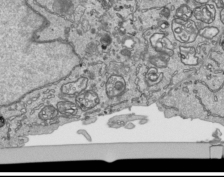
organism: Human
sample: Mitochondria in HCT116 cells